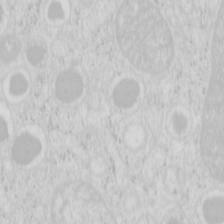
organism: Mouse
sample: Pancreas